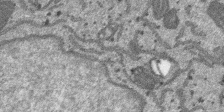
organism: Human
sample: Lung epithelial cells infected with SARS-CoV-2